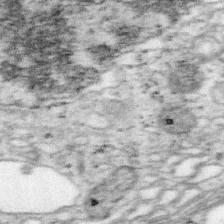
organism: Mouse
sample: OT-I killer T cells with ID8 ovarian cancer cells